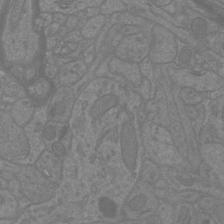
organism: Mouse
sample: Cortical neurons